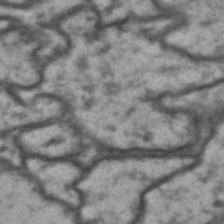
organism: Drosophila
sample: Brain